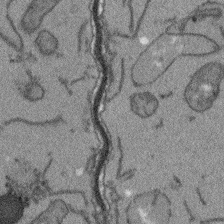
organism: Arabidopsis thaliana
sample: Root tip